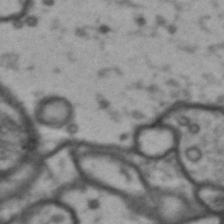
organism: Drosophila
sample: Brain